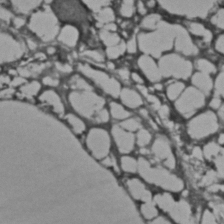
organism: C. elegans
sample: C. elegans embryo